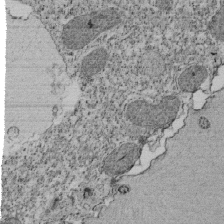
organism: Tetrahymena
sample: Cilia in tetrahymena